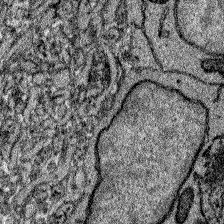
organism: Zebrafish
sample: Larval olfactory bulb